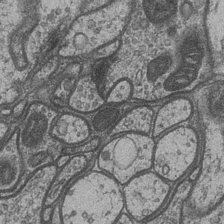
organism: Drosophila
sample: Optic medulla